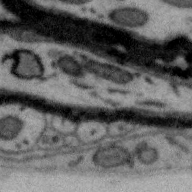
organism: Zebra finch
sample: Brain